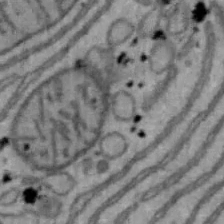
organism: Mouse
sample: Liver